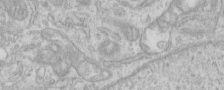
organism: Human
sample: Centriole in RPE cells